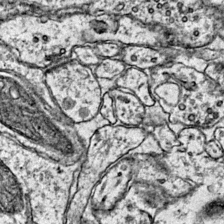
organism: Mouse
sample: Primary visual cortex